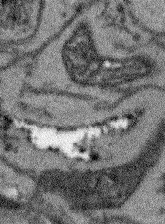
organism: Arabidopsis thaliana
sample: Root tip